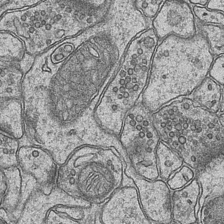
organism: Mouse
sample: CA1 Hippocampus